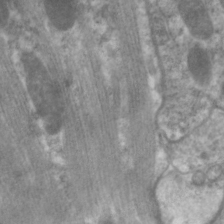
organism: C. elegans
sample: Pharynx